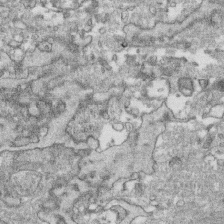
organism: Human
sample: CRL-1474